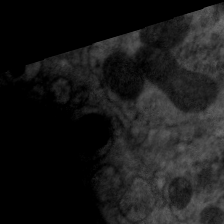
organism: C. elegans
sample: Pharynx